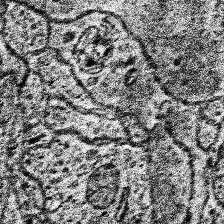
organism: Human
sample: Temporal Lobe